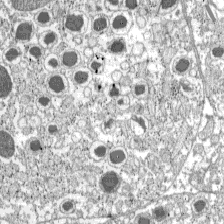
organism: C57BL Mouse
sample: Pancreatic islet